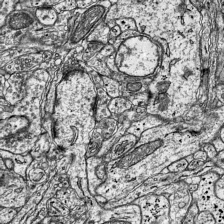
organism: Mouse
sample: Visual Cortex